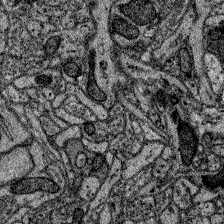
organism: Zebrafish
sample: Larval olfactory bulb